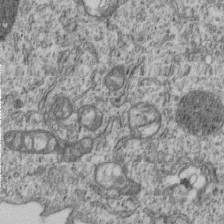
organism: Human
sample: MDA-MB-231 cells